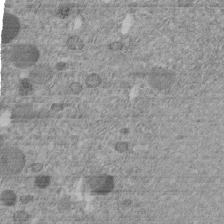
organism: C. elegans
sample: C. elegans embryo early stage